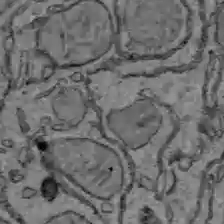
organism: C57BL Mouse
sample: Liver